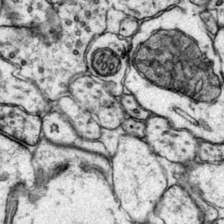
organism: Mouse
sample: Primary visual cortex